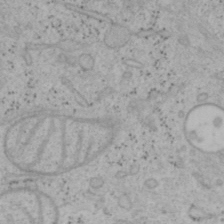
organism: Human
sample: HeLa cells